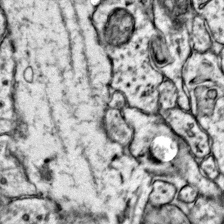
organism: Mouse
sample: Primary visual cortex